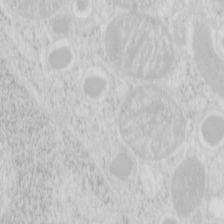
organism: Mouse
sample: Pancreas